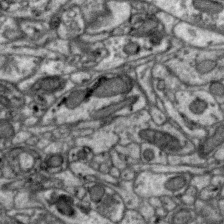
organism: Zebra finch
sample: Brain